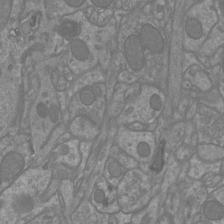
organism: Mouse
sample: Cortical neurons